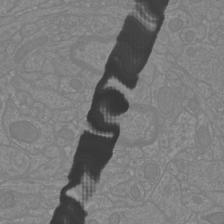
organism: Mouse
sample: Cortical neurons